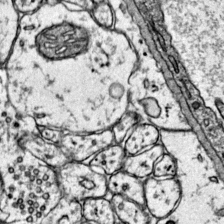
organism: Mouse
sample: Primary visual cortex